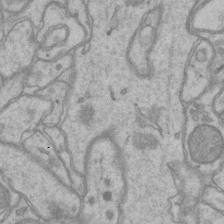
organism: Mouse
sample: CA1 Hippocampus